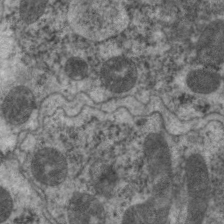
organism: C. elegans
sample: Pharynx